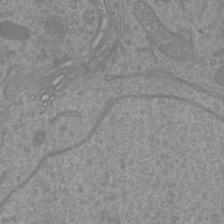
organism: Mouse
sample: Cortical neurons